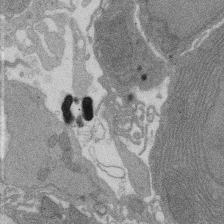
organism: Rat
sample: Salivary granule